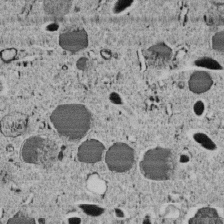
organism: C. elegans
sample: C. elegans embryo early stage